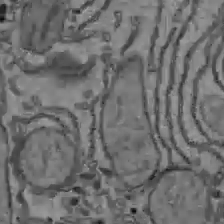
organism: C57BL Mouse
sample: Liver